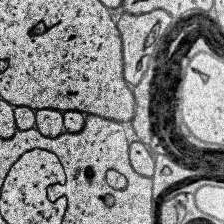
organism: Human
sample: Temporal Lobe